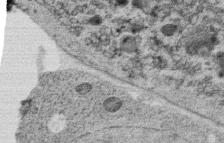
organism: C. elegans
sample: C. elegans oocyte; sperm cells